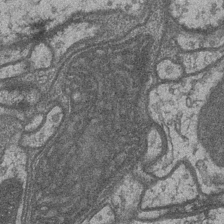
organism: Drosophila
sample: Optic medulla